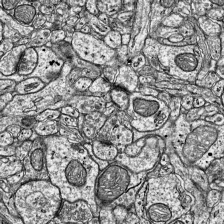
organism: Mouse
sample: Visual Cortex